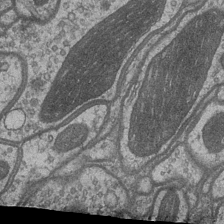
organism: Drosophila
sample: Optic medulla